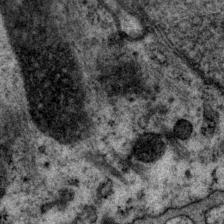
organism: P. pacificus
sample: Pharynx